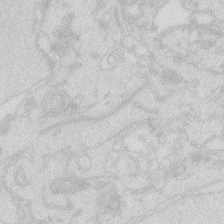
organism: Zebrafish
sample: Macrophage